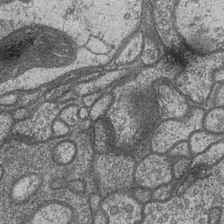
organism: Drosophila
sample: Optic medulla